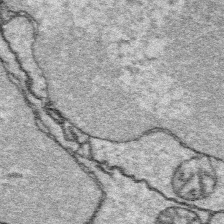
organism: Platynereis dumerilii